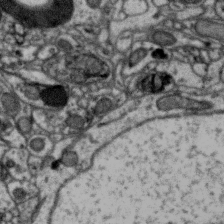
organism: Zebra finch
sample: Brain